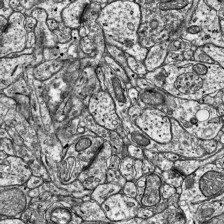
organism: Mouse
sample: Visual Cortex